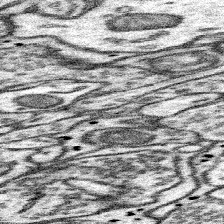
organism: Mouse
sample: Somatosensory cortex neuropil